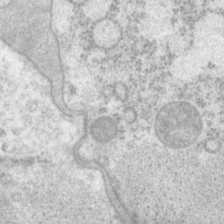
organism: P. pacificus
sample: Pharynx